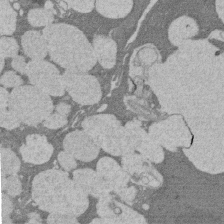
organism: Rat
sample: Salivary granule